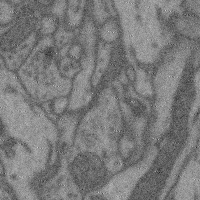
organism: Mouse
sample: Cerebral cortex